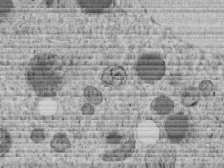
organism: C. elegans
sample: C. elegans embryo early stage